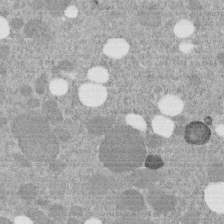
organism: C. elegans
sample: C. elegans embryo early stage